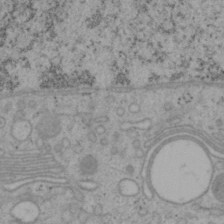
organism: Human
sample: HeLa cells